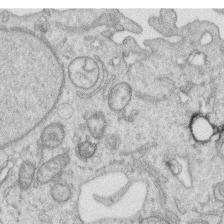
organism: Human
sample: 1205lu cells